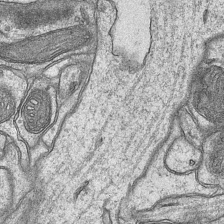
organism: Mouse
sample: CA1 Hippocampus